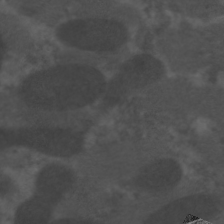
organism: C. elegans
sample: Pharynx